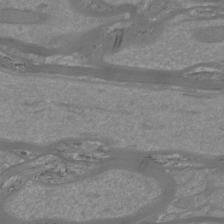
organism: Mouse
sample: Cortical neurons